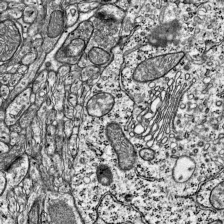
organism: Mouse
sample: Visual Cortex